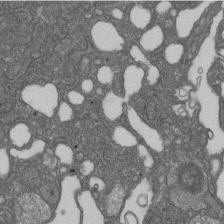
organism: Drosophila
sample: Nephrocyte